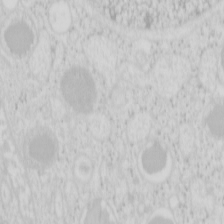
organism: Mouse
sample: Pancreas